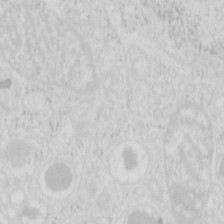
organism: Mouse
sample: Pancreas